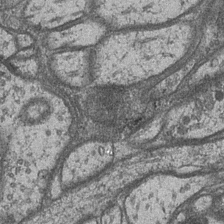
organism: Drosophila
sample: Optic medulla